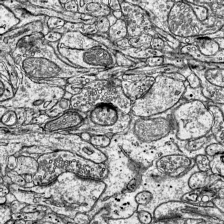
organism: Mouse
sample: Visual Cortex